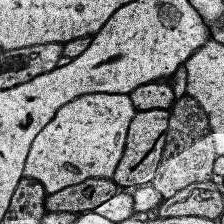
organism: Human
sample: Temporal Lobe